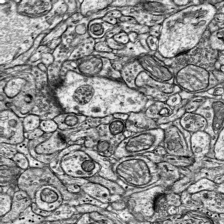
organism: Mouse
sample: Visual Cortex